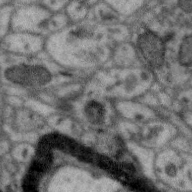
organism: Zebra finch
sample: Brain